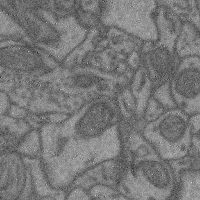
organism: Mouse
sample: Cerebral cortex